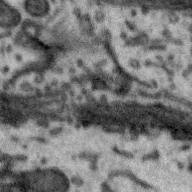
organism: Zebra finch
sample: Brain